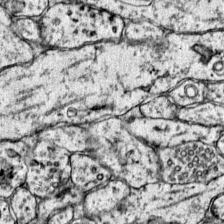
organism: Mouse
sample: Primary visual cortex